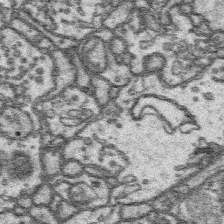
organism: Platynereis dumerilii